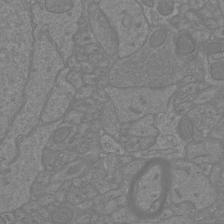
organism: Mouse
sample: Cortical neurons